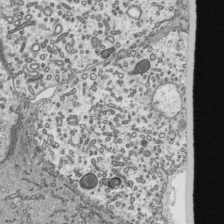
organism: Mouse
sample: Mouse epididymis efferent ductule cilia